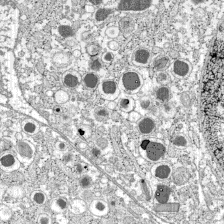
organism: C57BL Mouse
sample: Pancreatic islet